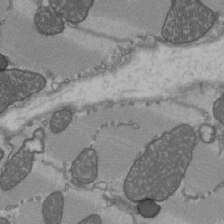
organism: C57BL Mouse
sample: Heart